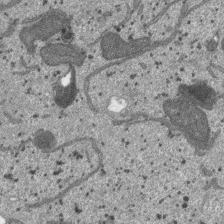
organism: Human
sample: Lung epithelial cells infected with SARS-CoV-2